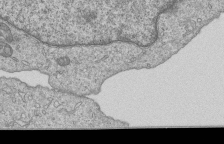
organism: Human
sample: MDA-MB-231 cells